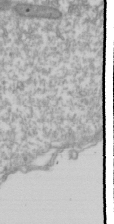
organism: Drosophila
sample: Cell division; meiosis; drosophila spermatocytes